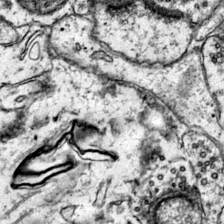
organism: Mouse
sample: Primary visual cortex